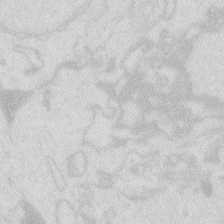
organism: Zebrafish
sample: Macrophage